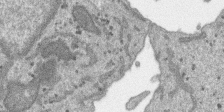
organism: Human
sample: Lung epithelial cells infected with SARS-CoV-2